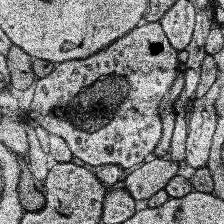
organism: Human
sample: Temporal Lobe